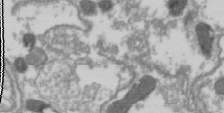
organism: Drosophila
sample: Cell division; meiosis; drosophila spermatocytes